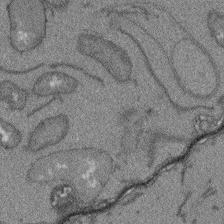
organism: Arabidopsis thaliana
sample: Root tip